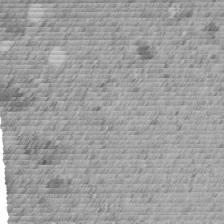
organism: C. elegans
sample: C. elegans embryo early stage